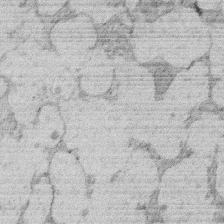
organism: Rat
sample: Salivary granule